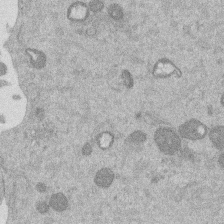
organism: Mouse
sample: Dividing mouse embryo 1 cell stage